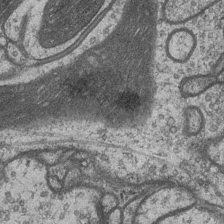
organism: Drosophila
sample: Optic medulla